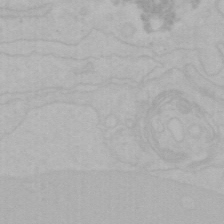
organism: Mouse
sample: Choroid plexus